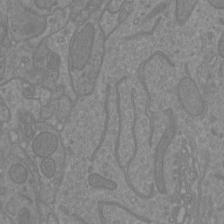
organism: Mouse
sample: Cortical neurons